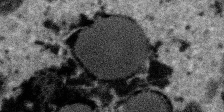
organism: Human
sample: Lung epithelial cells infected with SARS-CoV-2